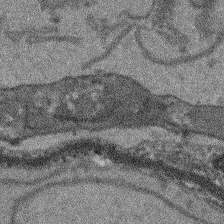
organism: Arabidopsis thaliana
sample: Root tip